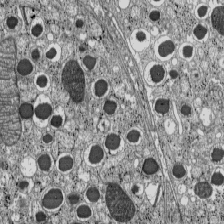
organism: C57BL Mouse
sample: Pancreatic islet